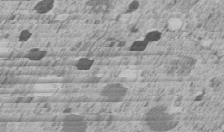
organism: C. elegans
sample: C. elegans embryo early stage